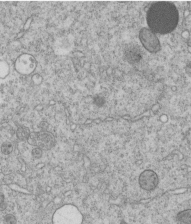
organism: C. elegans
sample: C. elegans embryo early stage